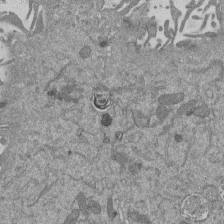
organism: Mouse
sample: ED-1 cell nuclei; centrioles